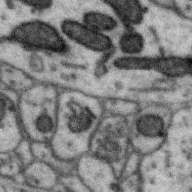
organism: Zebra finch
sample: Brain